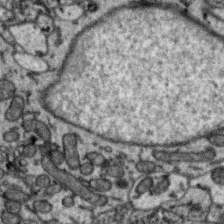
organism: Zebra finch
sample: Brain